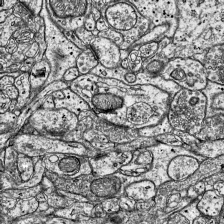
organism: Mouse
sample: Visual Cortex